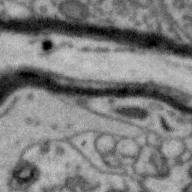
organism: Zebra finch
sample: Brain